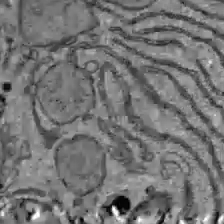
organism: C57BL Mouse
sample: Liver